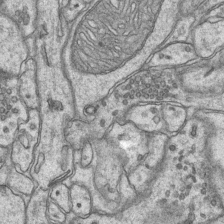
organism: Mouse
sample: CA1 Hippocampus